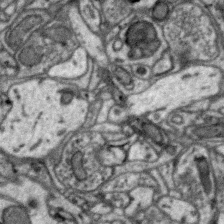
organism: Zebra finch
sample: Brain